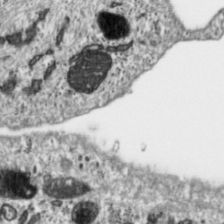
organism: Toxoplasma gondii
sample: Parasites in a vacuole inside a host cell